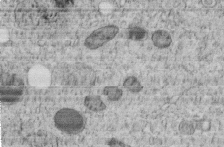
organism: C. elegans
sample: C. elegans embryo early stage